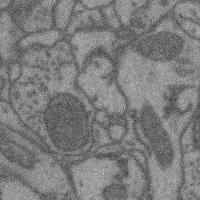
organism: Mouse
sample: Cerebral cortex